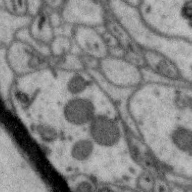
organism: Zebra finch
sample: Brain